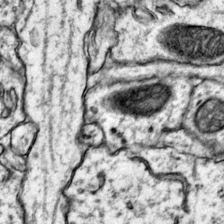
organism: Mouse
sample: Primary visual cortex